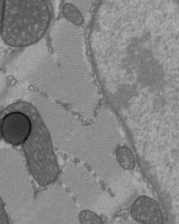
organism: C57BL Mouse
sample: Heart